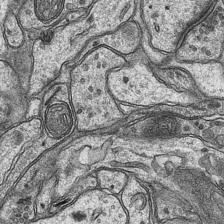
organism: Mouse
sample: CA1 Hippocampus